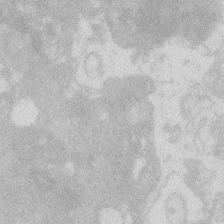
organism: Zebrafish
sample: Macrophage